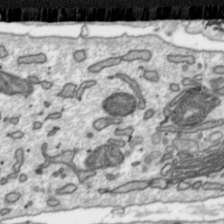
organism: Toxoplasma gondii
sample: Parasites in a vacuole inside a host cell